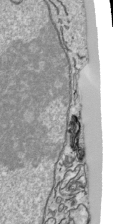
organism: Human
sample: Mitochondria in HCT116 cells